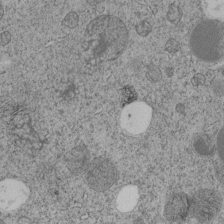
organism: C. elegans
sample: C. elegans embryo early stage